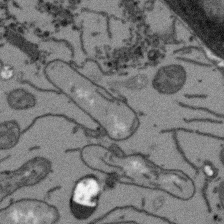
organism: Arabidopsis thaliana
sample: Root tip